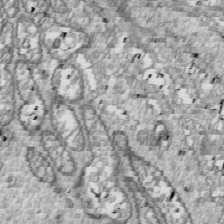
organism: Drosophila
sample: Cell division; meiosis; drosophila spermatocytes